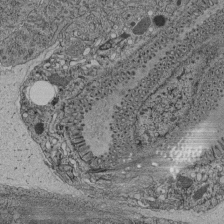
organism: C. elegans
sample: C. elegans pharynx